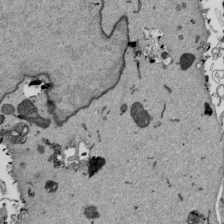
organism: Mouse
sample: ED-1 cell nuclei; centrioles